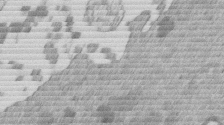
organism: Mouse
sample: Dividing mouse embryo 1 cell stage